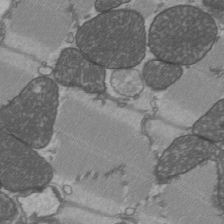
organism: C57BL Mouse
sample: Heart